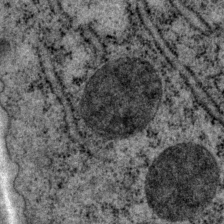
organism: P. pacificus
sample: Pharynx